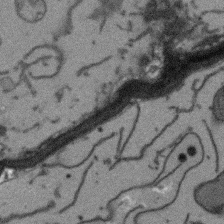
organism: Arabidopsis thaliana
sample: Root tip